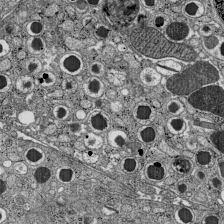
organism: C57BL Mouse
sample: Pancreatic islet